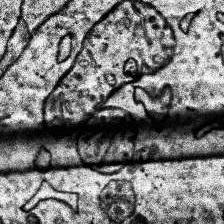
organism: Human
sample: Temporal Lobe